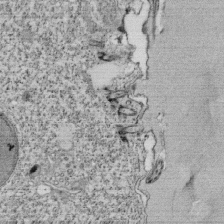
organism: Tetrahymena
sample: Cilia in tetrahymena